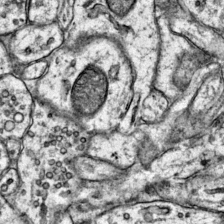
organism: Mouse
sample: Primary visual cortex